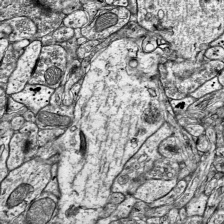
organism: Mouse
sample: Visual Cortex